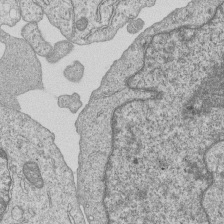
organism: Human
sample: MDA-MB-231 cells